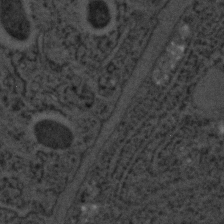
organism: C. elegans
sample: C. elegans embryo